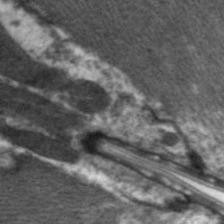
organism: C. elegans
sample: Pharynx